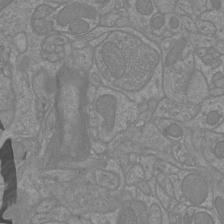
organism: Mouse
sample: Cortical neurons